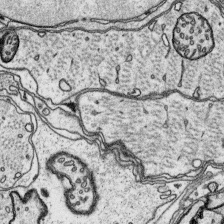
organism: Platynereis dumerilii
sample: Parapodia